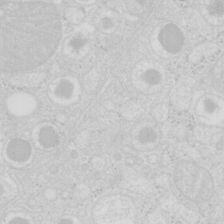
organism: Mouse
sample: Pancreas